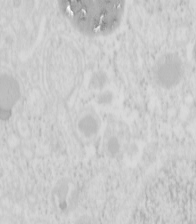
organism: Mouse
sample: Pancreas